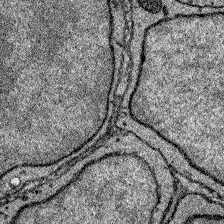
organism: Zebrafish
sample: Larval olfactory bulb